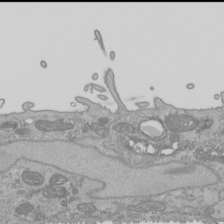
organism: Human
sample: Mitochondria in HCT116 cells